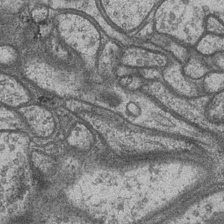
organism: Drosophila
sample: Optic medulla